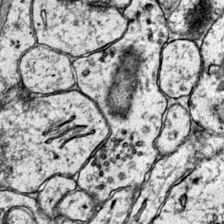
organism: Mouse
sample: Primary visual cortex